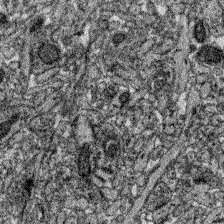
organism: Zebrafish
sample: Larval olfactory bulb